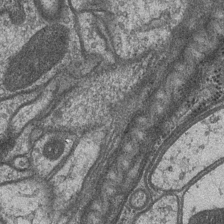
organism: Drosophila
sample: Optic medulla